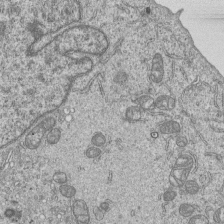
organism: Human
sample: MDA-MB-231 cells